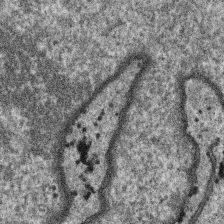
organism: Human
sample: Lung epithelial cells infected with SARS-CoV-2